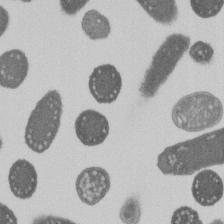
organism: E. coli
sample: Bacterial nucleoid